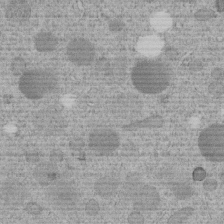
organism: C. elegans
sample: C. elegans embryo early stage